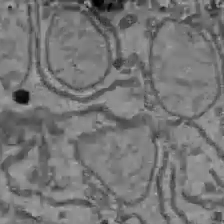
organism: C57BL Mouse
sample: Liver